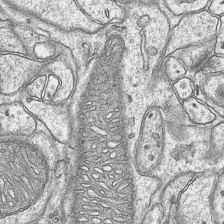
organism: Mouse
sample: CA1 Hippocampus